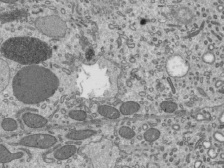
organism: Mouse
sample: Mouse epididymis efferent ductule cilia